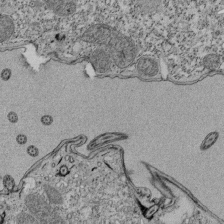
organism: Tetrahymena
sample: Cilia in tetrahymena